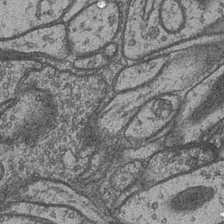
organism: Drosophila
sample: Optic medulla